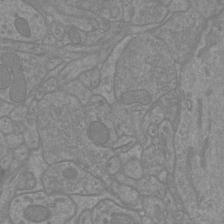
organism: Mouse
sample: Cortical neurons